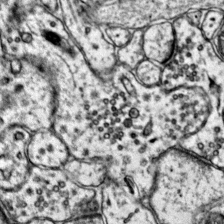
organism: Mouse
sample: Primary visual cortex